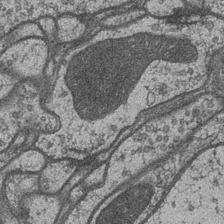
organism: Drosophila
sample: Optic medulla